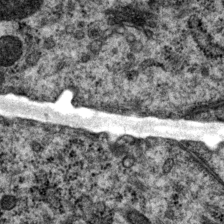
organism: P. pacificus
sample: Pharynx